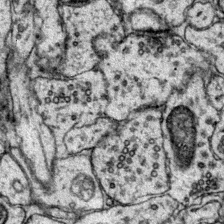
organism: Mouse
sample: Primary visual cortex